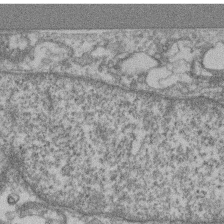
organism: Mouse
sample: T cell stromal cell synapse